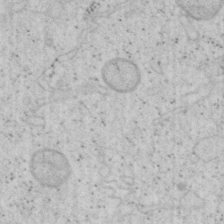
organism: Human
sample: HeLa cells